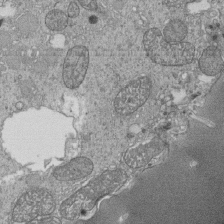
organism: Tetrahymena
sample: Cilia in tetrahymena